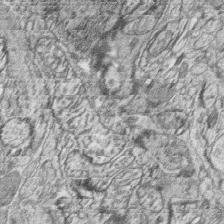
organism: Zebrafish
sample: synaptic ribbons in rod cells and cone cells